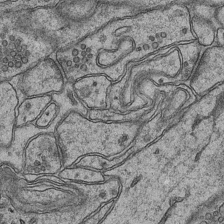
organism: Mouse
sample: CA1 Hippocampus